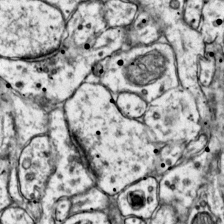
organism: Mouse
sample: Primary visual cortex